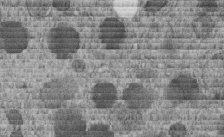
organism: C. elegans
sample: C. elegans embryo early stage